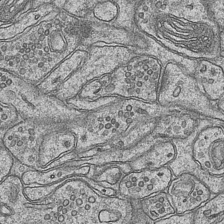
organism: Mouse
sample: CA1 Hippocampus